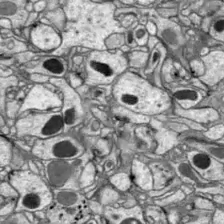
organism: Drosophila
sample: Optic lobe